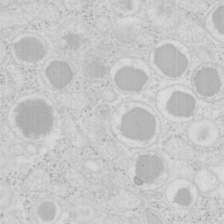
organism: Mouse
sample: Pancreas